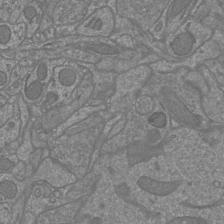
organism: Mouse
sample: Cortical neurons